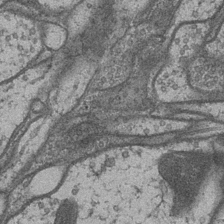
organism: Drosophila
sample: Optic medulla